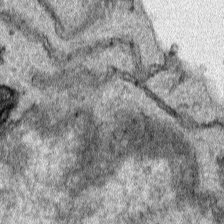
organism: Human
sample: Mitochondria in HCT116 cells